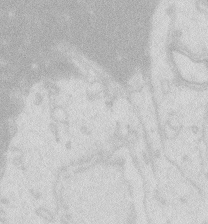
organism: Zebrafish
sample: Macrophage